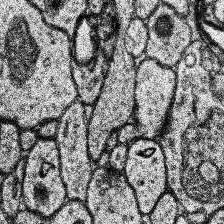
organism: Human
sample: Temporal Lobe